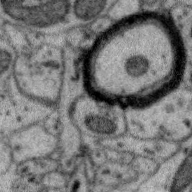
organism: Zebra finch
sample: Brain